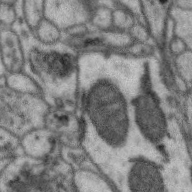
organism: Zebra finch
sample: Brain